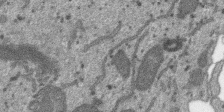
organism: Human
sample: Lung epithelial cells infected with SARS-CoV-2